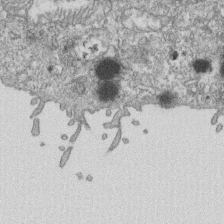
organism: Human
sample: HeLa cell HIV synapse